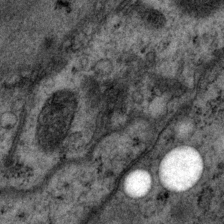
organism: P. pacificus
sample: Pharynx